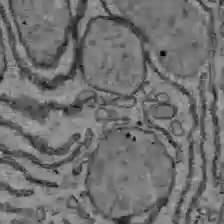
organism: C57BL Mouse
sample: Liver